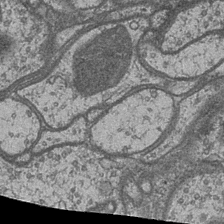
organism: Drosophila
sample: Optic medulla